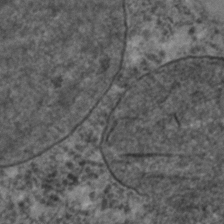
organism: C. elegans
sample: C. elegans embryo